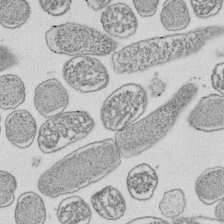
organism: E. coli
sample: Bacterial nucleoid